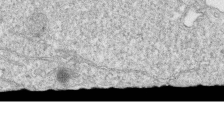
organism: Human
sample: HeLa cell HIV synapse